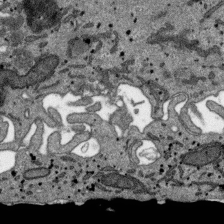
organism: Human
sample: Lung epithelial cells, uninfected (mock) control